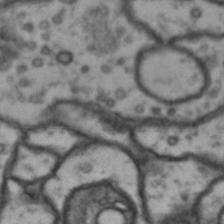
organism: Drosophila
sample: Brain